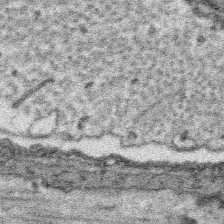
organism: Platynereis dumerilii